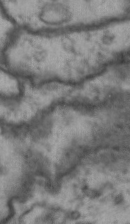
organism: Drosophila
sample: Brain